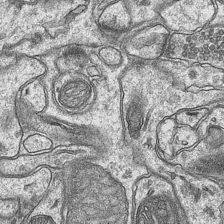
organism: Mouse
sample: CA1 Hippocampus